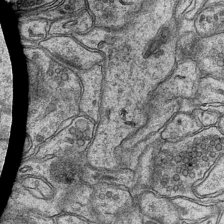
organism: Mouse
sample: CA1 Hippocampus